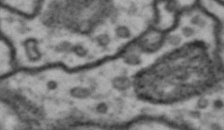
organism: Drosophila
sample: Brain